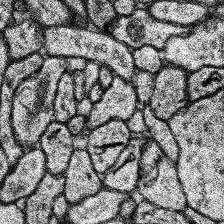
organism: Human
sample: Temporal Lobe